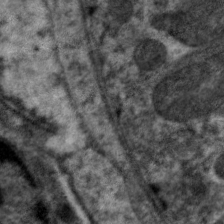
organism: C. elegans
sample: Pharynx